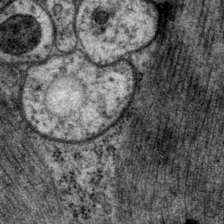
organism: P. pacificus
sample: Pharynx